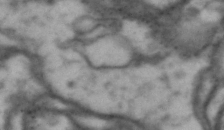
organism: Drosophila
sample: Brain